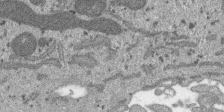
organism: Human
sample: Lung epithelial cells infected with SARS-CoV-2